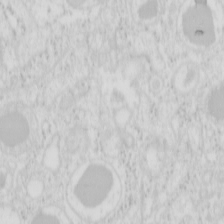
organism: Mouse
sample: Pancreas